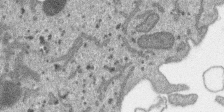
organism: Human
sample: Lung epithelial cells infected with SARS-CoV-2